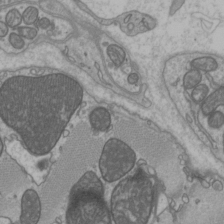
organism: C57BL Mouse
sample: Heart